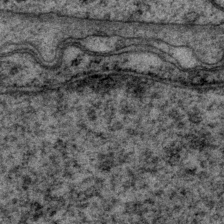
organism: P. pacificus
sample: Pharynx